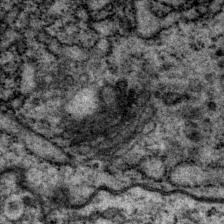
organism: P. pacificus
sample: Pharynx